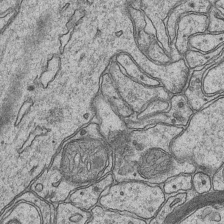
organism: Mouse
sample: CA1 Hippocampus